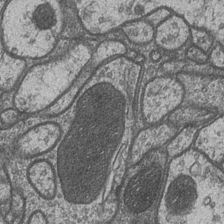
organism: Drosophila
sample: Optic medulla